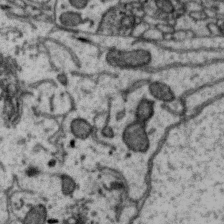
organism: Zebra finch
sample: Brain